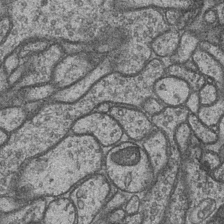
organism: Drosophila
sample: Optic medulla